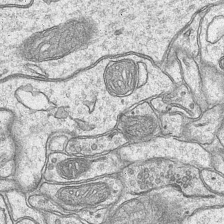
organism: Mouse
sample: CA1 Hippocampus